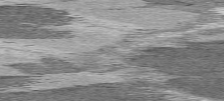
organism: C57BL Mouse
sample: Heart